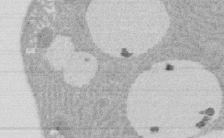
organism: Rat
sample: Salivary granule